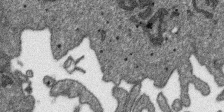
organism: Human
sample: Lung epithelial cells infected with SARS-CoV-2